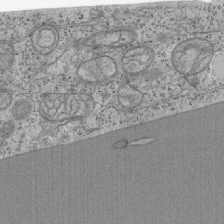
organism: Human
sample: HeLa cells